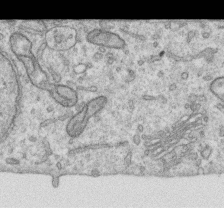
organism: Human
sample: Centriole in RPE cells